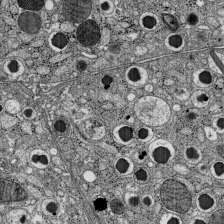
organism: C57BL Mouse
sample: Pancreatic islet